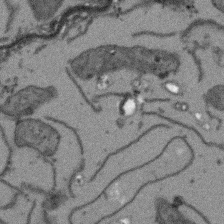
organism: Arabidopsis thaliana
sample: Root tip